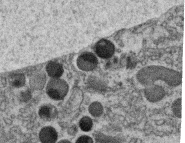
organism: C. elegans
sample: C. elegans oocyte; sperm cells